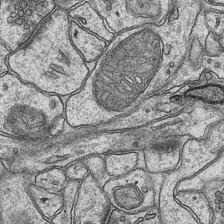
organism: Mouse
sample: CA1 Hippocampus